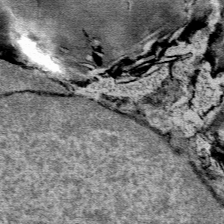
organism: Mouse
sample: Mouse Salivary gland